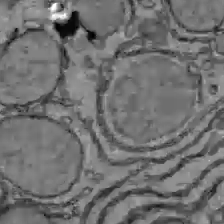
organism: C57BL Mouse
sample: Liver